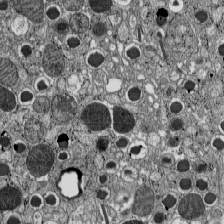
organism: C57BL Mouse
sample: Pancreatic islet